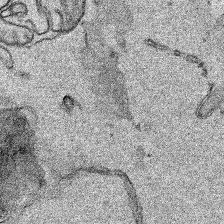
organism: Human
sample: Mitochondria in HCT116 cells